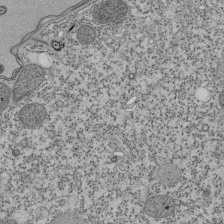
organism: Tetrahymena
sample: Cilia in tetrahymena